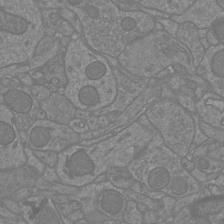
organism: Mouse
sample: Cortical neurons